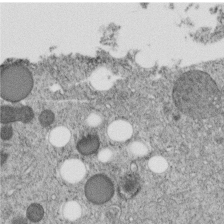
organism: C. elegans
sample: C. elegans embryo early stage